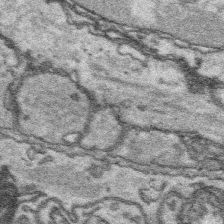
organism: Platynereis dumerilii